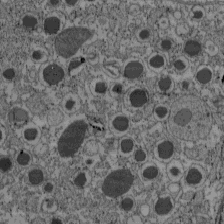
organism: C57BL Mouse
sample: Pancreatic islet